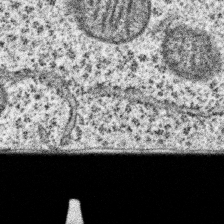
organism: Human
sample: HeLa cells